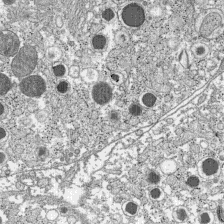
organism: C57BL Mouse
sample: Pancreatic islet